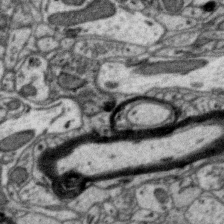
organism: Zebra finch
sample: Brain